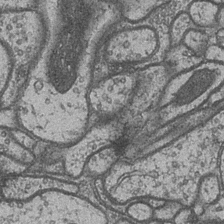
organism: Drosophila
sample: Optic medulla